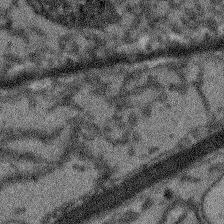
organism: Arabidopsis thaliana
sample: Root tip